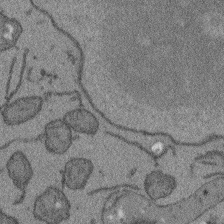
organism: Arabidopsis thaliana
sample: Root tip